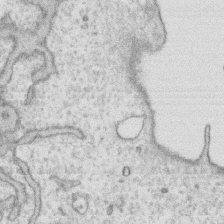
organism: Human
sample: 1205lu cells